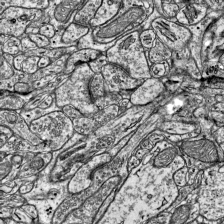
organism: Mouse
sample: Visual Cortex